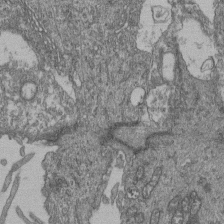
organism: Human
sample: Retinal organoid Rod and Cone cells